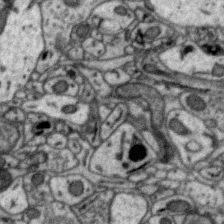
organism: Zebra finch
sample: Brain